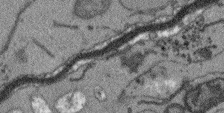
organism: Arabidopsis thaliana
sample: Root tip